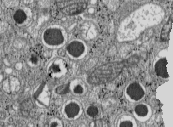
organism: C57BL Mouse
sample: Pancreatic islet